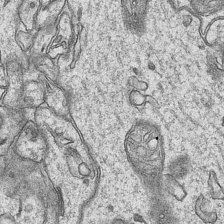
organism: Mouse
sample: CA1 Hippocampus